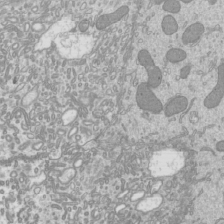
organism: Mouse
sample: Cilia; mouse epididymis